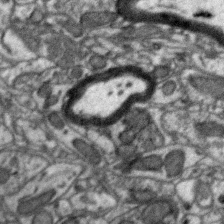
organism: Zebra finch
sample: Brain